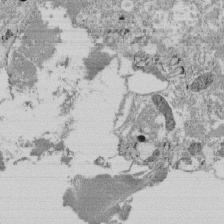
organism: Tetrahymena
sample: Cilia in tetrahymena